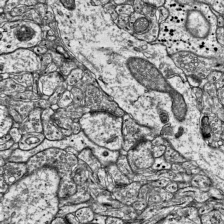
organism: Mouse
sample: Visual Cortex